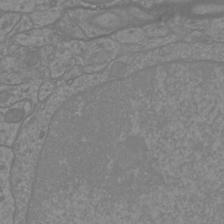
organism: Mouse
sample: Cortical neurons